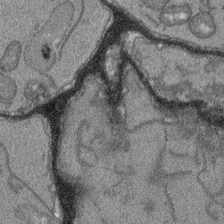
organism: Arabidopsis thaliana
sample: Root tip